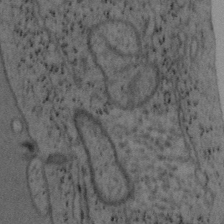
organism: Human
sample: HeLa cells